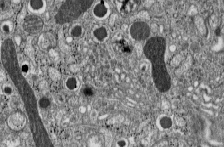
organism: C57BL Mouse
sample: Pancreatic islet